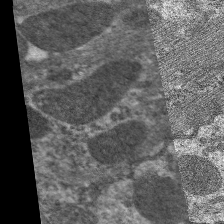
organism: C. elegans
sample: Pharynx